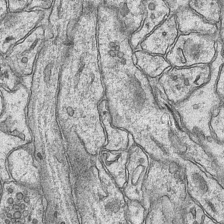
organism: Mouse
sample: CA1 Hippocampus